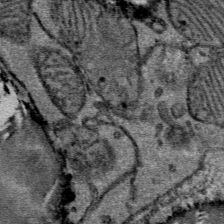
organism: Mouse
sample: Mouse Salivary gland